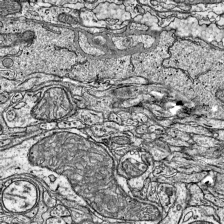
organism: Mouse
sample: Visual Cortex